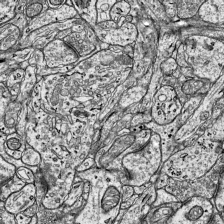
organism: Mouse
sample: Visual Cortex